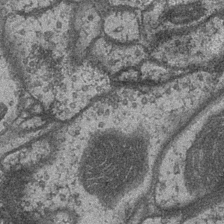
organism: Drosophila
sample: Optic medulla